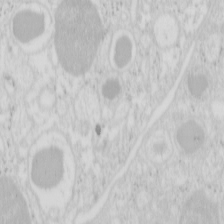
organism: Mouse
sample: Pancreas